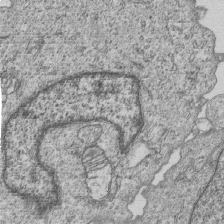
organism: Human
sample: MDA-MB-231 cells